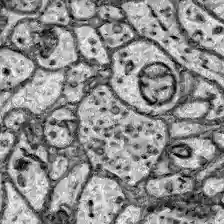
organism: Zebrafish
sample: Brain